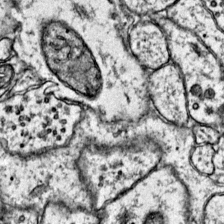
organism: Mouse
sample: Primary visual cortex